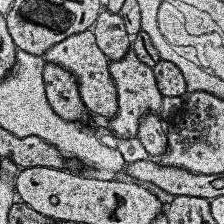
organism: Human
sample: Temporal Lobe